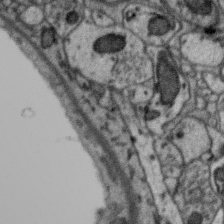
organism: Zebra finch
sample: Brain